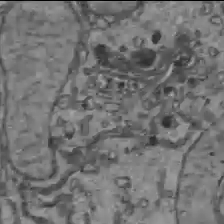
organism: C57BL Mouse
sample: Liver